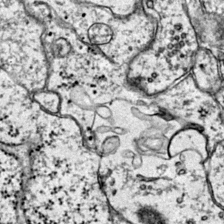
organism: Mouse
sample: Primary visual cortex